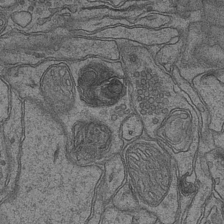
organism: Mouse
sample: CA1 Hippocampus